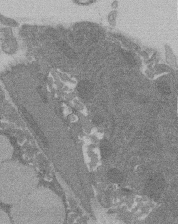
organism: Rat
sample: Salivary granule